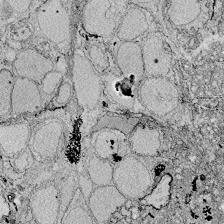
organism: Zebrafish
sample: Whole-Brain